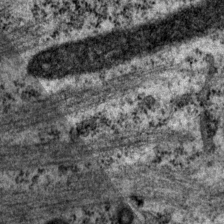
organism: P. pacificus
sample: Pharynx